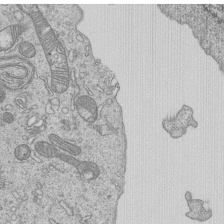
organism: Human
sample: MDA-MB-231 cells